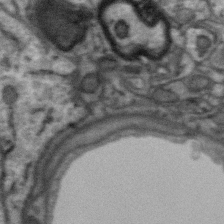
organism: Zebra finch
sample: Brain